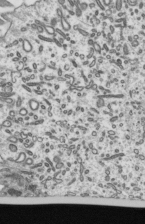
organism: Mouse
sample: Mouse epididymis efferent ductule cilia